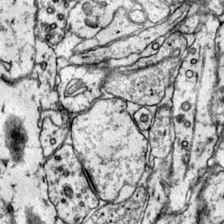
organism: Mouse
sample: Primary visual cortex